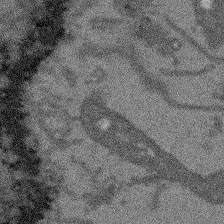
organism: Arabidopsis thaliana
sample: Root tip